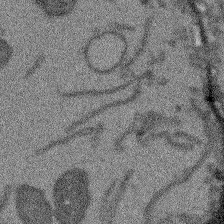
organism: Arabidopsis thaliana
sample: Root tip